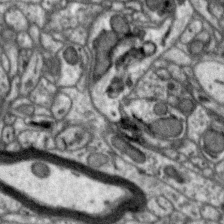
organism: Zebra finch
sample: Brain